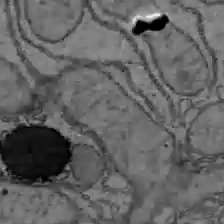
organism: C57BL Mouse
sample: Liver